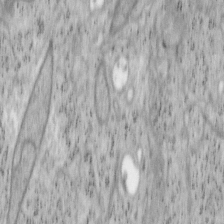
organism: Human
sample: HeLa cells